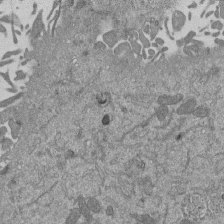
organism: Mouse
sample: ED-1 cell nuclei; centrioles